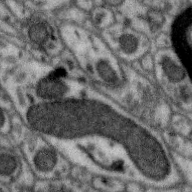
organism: Zebra finch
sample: Brain